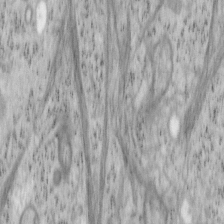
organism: Human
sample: HeLa cells